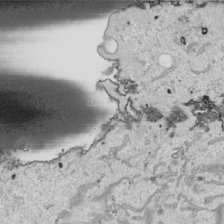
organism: Human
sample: Mitochondria in HCT116 cells